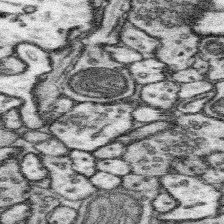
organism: Mouse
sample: Somatosensory cortex neuropil